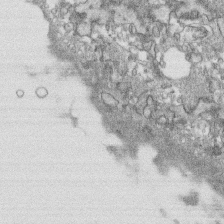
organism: Human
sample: CRL-1474